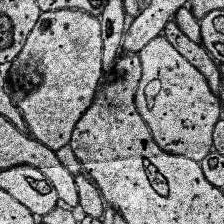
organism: Human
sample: Temporal Lobe